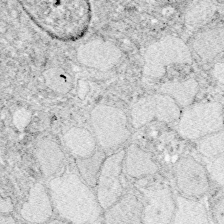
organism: Zebrafish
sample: Whole-Brain